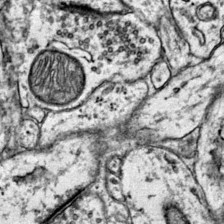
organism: Mouse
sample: Primary visual cortex